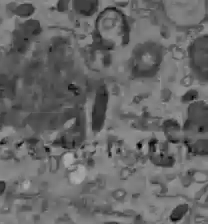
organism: C57BL Mouse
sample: Liver